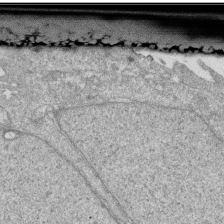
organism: Human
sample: HeLa cell HIV synapse